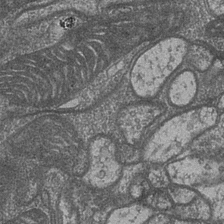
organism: Drosophila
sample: Optic medulla